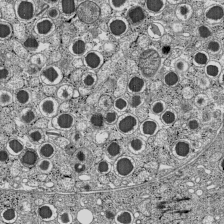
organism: C57BL Mouse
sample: Pancreatic islet